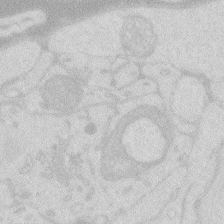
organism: Zebrafish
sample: Macrophage